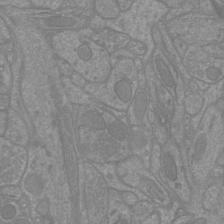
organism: Mouse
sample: Cortical neurons